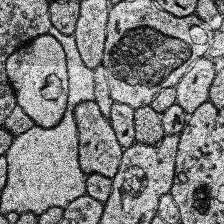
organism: Human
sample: Temporal Lobe